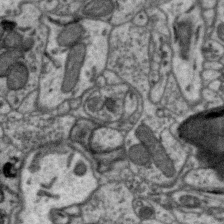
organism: Zebra finch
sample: Brain